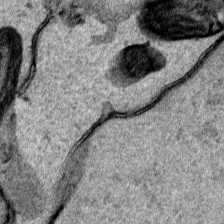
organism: Human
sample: Mitochondria in HCT116 cells